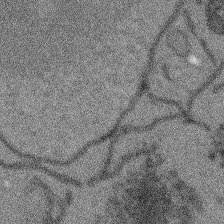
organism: Arabidopsis thaliana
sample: Root tip